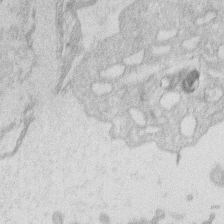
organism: Human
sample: Macrophage cells